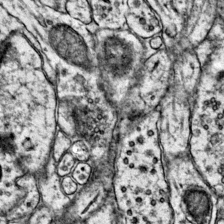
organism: Mouse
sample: Primary visual cortex